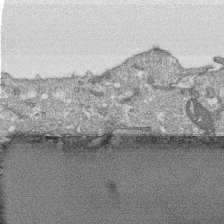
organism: African green monkey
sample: Vero E6 cells infected with SARS-CoV-2